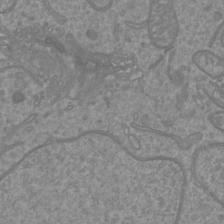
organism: Mouse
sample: Cortical neurons